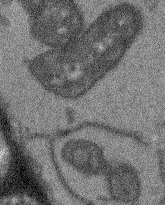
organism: Arabidopsis thaliana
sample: Root tip